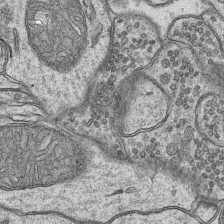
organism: Mouse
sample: CA1 Hippocampus